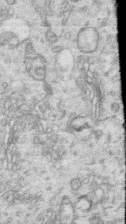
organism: Human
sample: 1205lu cells